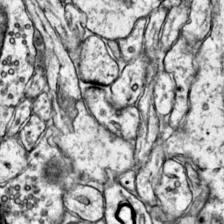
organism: Mouse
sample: Primary visual cortex